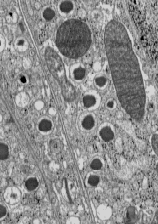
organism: C57BL Mouse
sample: Pancreatic islet